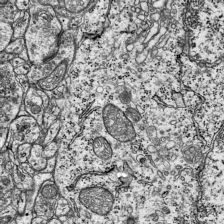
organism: Mouse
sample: Visual Cortex